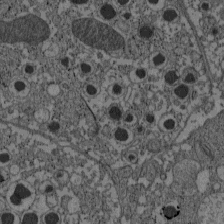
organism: C57BL Mouse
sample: Pancreatic islet